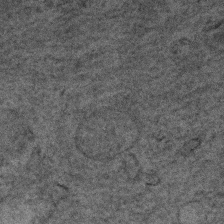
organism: Human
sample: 1205lu cells